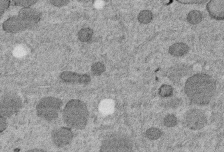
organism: C. elegans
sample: C. elegans embryo early stage